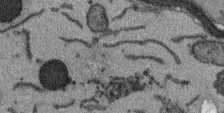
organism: Arabidopsis thaliana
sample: Root tip